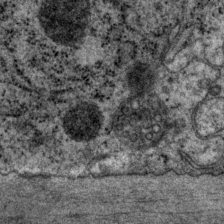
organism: P. pacificus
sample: Pharynx